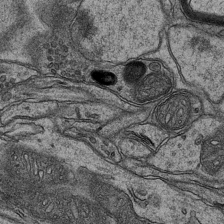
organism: Mouse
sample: CA1 Hippocampus